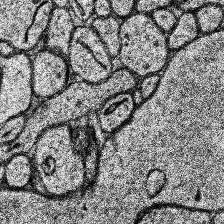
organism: Human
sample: Temporal Lobe